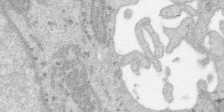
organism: Human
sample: Lung epithelial cells infected with SARS-CoV-2